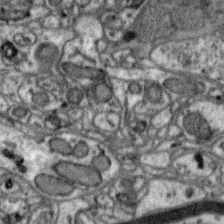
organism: Zebra finch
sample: Brain